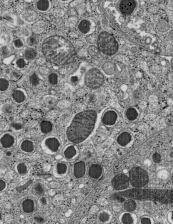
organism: C57BL Mouse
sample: Pancreatic islet